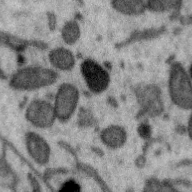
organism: Zebra finch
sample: Brain